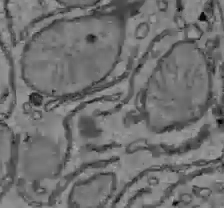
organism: C57BL Mouse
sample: Liver